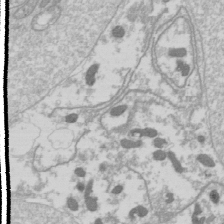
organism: Drosophila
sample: Cell division; meiosis; drosophila spermatocytes